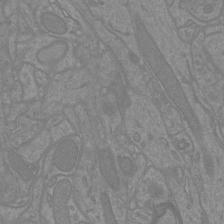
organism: Mouse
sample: Cortical neurons